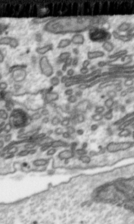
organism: Toxoplasma gondii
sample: Parasites in a vacuole inside a host cell